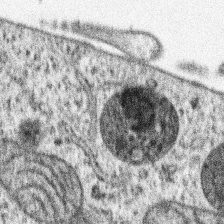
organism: Human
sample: HeLa cells